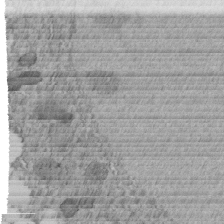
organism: C. elegans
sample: C. elegans embryo early stage